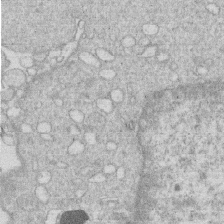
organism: Human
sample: Macrophage cells